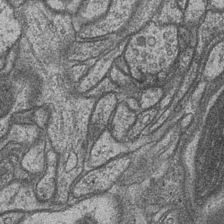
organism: Drosophila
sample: Optic medulla